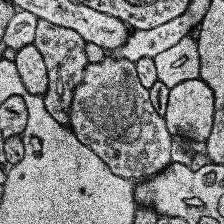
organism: Human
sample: Temporal Lobe